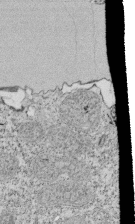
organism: Tetrahymena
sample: Cilia in tetrahymena